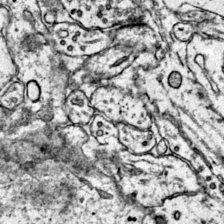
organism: Mouse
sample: Primary visual cortex